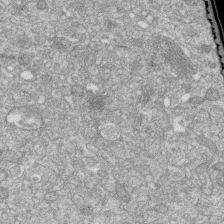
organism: Human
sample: HeLa cell HIV synapse